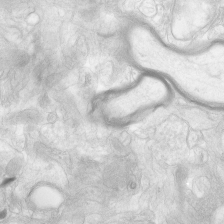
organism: Human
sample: Neocortex